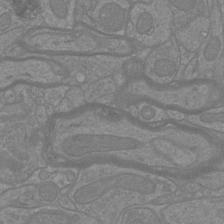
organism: Mouse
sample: Cortical neurons